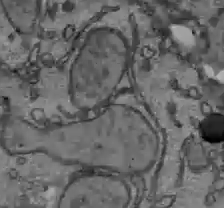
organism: C57BL Mouse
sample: Liver